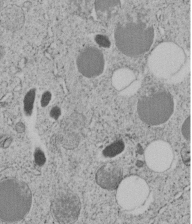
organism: C. elegans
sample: C. elegans embryo early stage